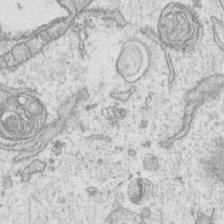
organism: Human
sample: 1205lu cells